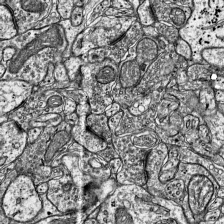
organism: Mouse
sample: Visual Cortex